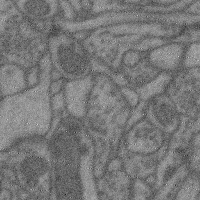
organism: Mouse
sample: Cerebral cortex